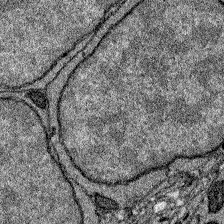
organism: Zebrafish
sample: Larval olfactory bulb